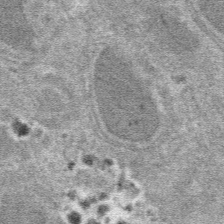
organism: Mouse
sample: Mouse hepatocytes